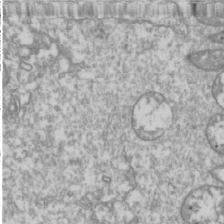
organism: Drosophila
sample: Cell division; meiosis; drosophila spermatocytes